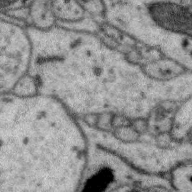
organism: Zebra finch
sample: Brain